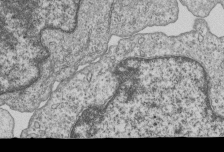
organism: Human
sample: MDA-MB-231 cells